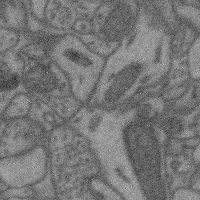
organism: Mouse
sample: Cerebral cortex